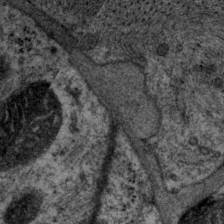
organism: P. pacificus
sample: Pharynx